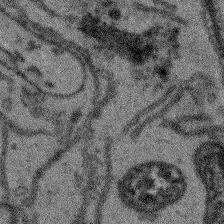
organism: Arabidopsis thaliana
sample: Root tip